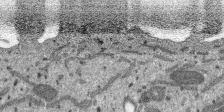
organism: Human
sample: Lung epithelial cells infected with SARS-CoV-2